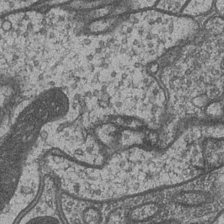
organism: Drosophila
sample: Optic medulla